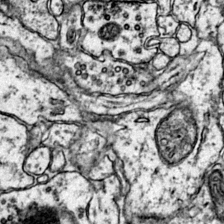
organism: Mouse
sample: Primary visual cortex